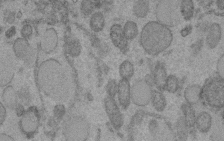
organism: C. elegans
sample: C. elegans embryo early stage